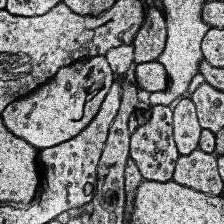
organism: Human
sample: Temporal Lobe